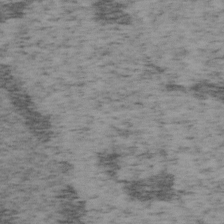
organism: Mouse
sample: OT-I killer T cells with ID8 ovarian cancer cells